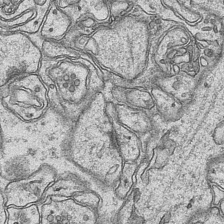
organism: Mouse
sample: CA1 Hippocampus